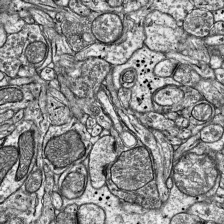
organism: Mouse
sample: Visual Cortex